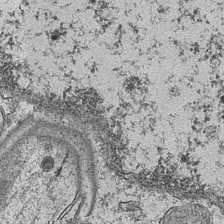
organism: Mouse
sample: CA1 Hippocampus